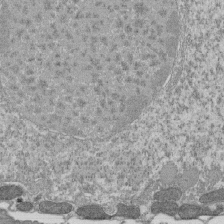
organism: Tetrahymena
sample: Cilia in tetrahymena